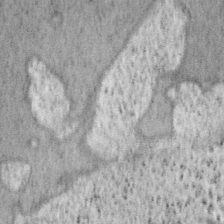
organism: Mouse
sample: OT-I killer T cells with ID8 ovarian cancer cells